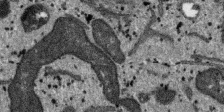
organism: Human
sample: Lung epithelial cells, uninfected (mock) control